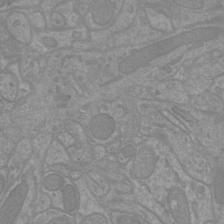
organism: Mouse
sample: Cortical neurons